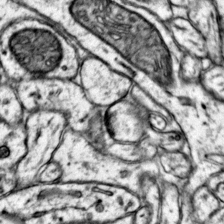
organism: Mouse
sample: Primary visual cortex